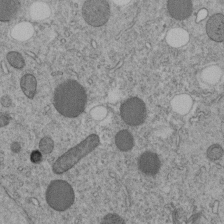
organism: C. elegans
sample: C. elegans embryo early stage